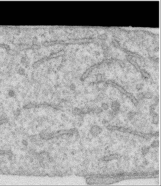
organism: Human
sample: Centriole in RPE cells